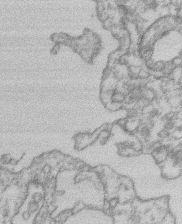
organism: Mouse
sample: T cell stromal cell synapse